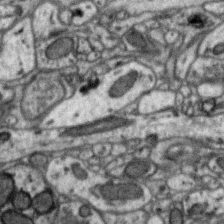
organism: Zebra finch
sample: Brain